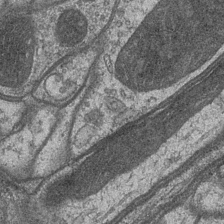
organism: Drosophila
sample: Optic medulla